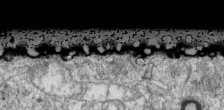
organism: Human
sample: HeLa cell HIV synapse